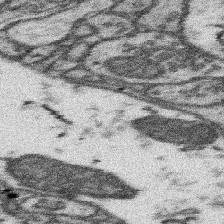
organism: Mouse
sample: Somatosensory cortex neuropil